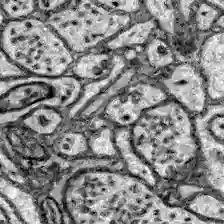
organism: Zebrafish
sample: Brain